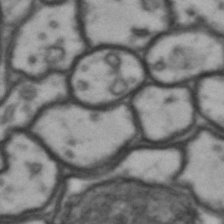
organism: Drosophila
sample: Brain